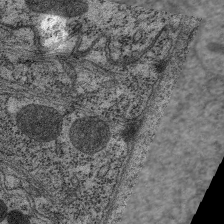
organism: C. elegans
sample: Pharynx